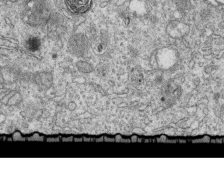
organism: Human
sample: HeLa cell HIV synapse